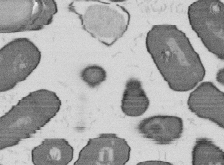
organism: B. subtilis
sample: Bacterial spore